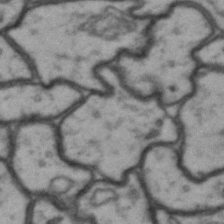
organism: Drosophila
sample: Brain